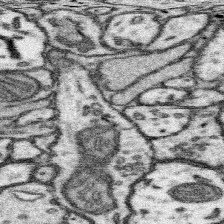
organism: Mouse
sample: Somatosensory cortex neuropil